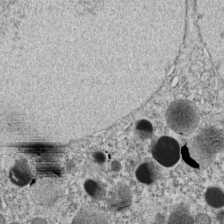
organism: C. elegans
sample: C. elegans embryo early stage